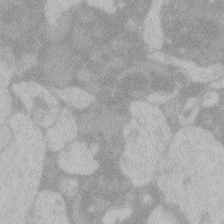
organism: Zebrafish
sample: Macrophage infected with Toxoplasma gondii